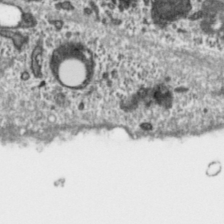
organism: Toxoplasma gondii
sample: Parasites in a vacuole inside a host cell